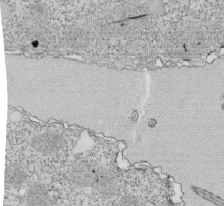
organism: Tetrahymena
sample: Cilia in tetrahymena